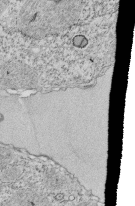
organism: Tetrahymena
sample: Cilia in tetrahymena